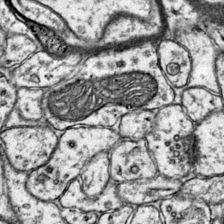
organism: Mouse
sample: Primary visual cortex